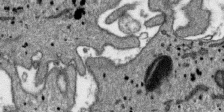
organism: Human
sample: Lung epithelial cells, uninfected (mock) control